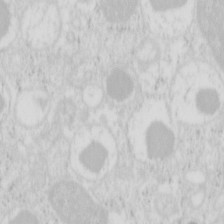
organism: Mouse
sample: Pancreas